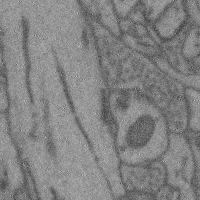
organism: Mouse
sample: Cerebral cortex